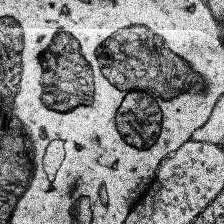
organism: Human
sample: Temporal Lobe